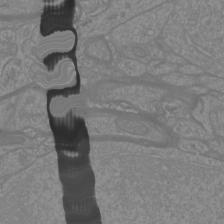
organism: Mouse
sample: Cortical neurons